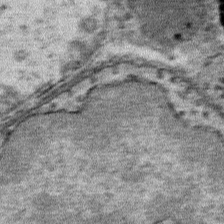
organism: Mouse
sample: Mouse Salivary gland